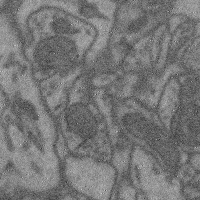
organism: Mouse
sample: Cerebral cortex